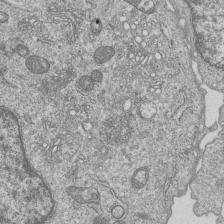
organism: Human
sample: MDA-MB-231 cells